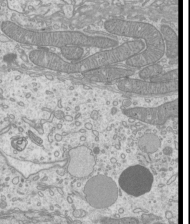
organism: Mouse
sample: Cilia; mouse epididymis